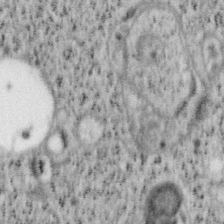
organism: Mouse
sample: OT-I killer T cells with ID8 ovarian cancer cells